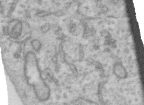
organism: Human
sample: Centriole in RPE cells